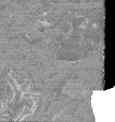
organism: Mouse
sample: Glomerulus